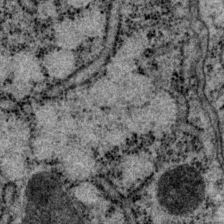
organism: P. pacificus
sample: Pharynx